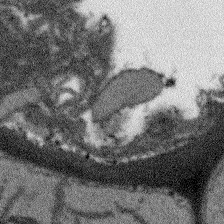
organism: Arabidopsis thaliana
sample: Root tip